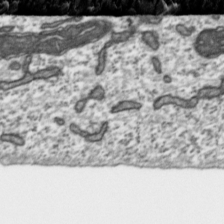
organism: Toxoplasma gondii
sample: Parasites in a vacuole inside a host cell